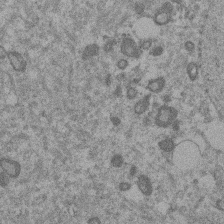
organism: Mouse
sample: Dividing mouse embryo 1 cell stage